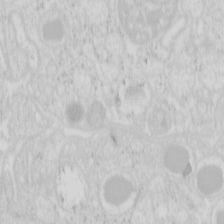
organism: Mouse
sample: Pancreas